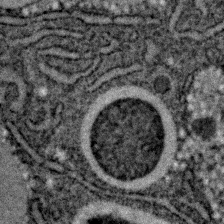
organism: C. elegans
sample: C. elegans embryo